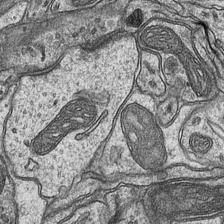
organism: Mouse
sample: CA1 Hippocampus